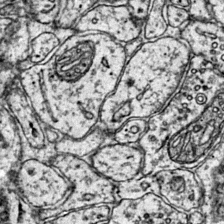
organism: Mouse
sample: Primary visual cortex